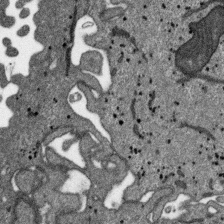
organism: Human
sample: Lung epithelial cells, uninfected (mock) control